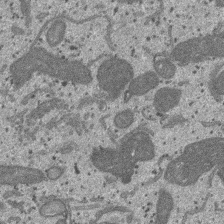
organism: Human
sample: Lung epithelial cells infected with SARS-CoV-2